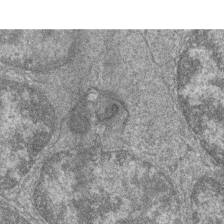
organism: Zebrafish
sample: Cilia; retinal pigment epithelium